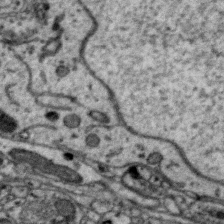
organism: Zebra finch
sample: Brain